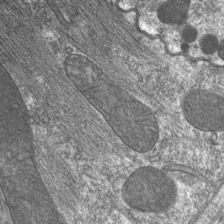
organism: C. elegans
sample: Pharynx